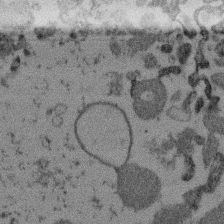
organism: Mouse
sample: Dividing mouse embryo 1 cell stage